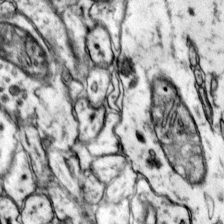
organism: Mouse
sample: Primary visual cortex